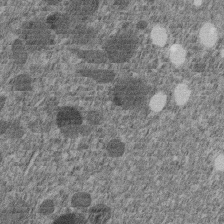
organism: C. elegans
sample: C. elegans embryo early stage